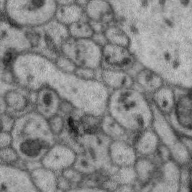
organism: Zebra finch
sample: Brain